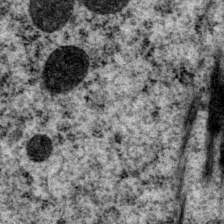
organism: P. pacificus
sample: Pharynx